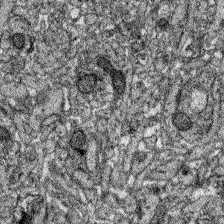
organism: Zebrafish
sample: Larval olfactory bulb